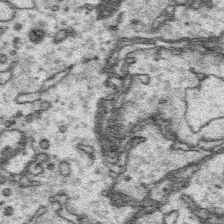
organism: Platynereis dumerilii